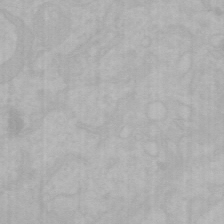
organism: Mouse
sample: Choroid plexus